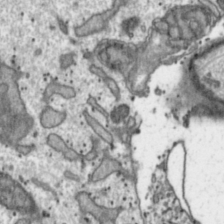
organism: Toxoplasma gondii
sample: Parasites in a vacuole inside a host cell